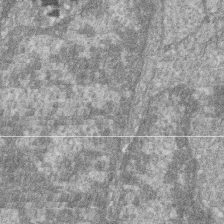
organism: Zebrafish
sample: Cilia; retinal pigment epithelium